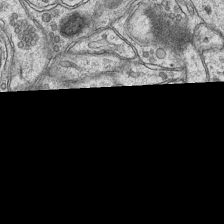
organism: Mouse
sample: CA1 Hippocampus